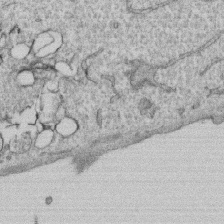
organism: Human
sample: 1205lu cells